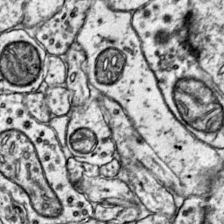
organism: Mouse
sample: Primary visual cortex